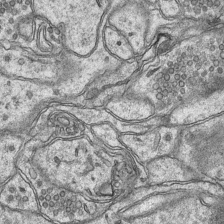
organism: Mouse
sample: CA1 Hippocampus